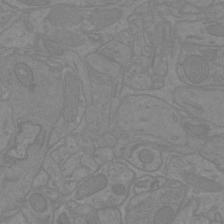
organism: Mouse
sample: Cortical neurons